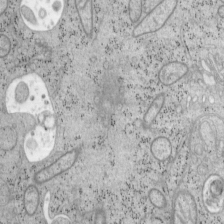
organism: Mouse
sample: OT-I killer T cells with ID8 ovarian cancer cells